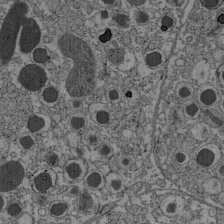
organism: C57BL Mouse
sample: Pancreatic islet